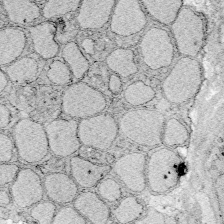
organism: Zebrafish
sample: Whole-Brain